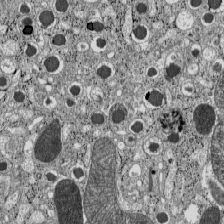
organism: C57BL Mouse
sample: Pancreatic islet